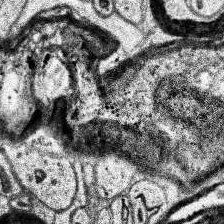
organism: Human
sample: Temporal Lobe